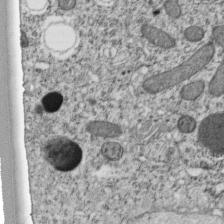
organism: C. elegans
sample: C. elegans embryo early stage